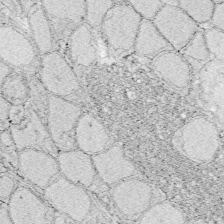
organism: Zebrafish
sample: Whole-Brain